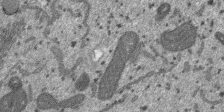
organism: Human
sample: Lung epithelial cells infected with SARS-CoV-2